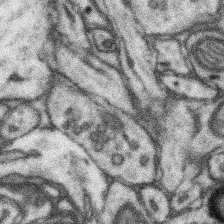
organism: Mouse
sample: Somatosensory cortex neuropil